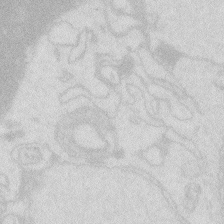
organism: Zebrafish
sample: Macrophage